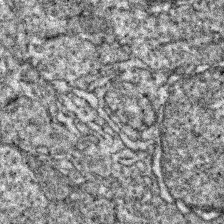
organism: Zebrafish